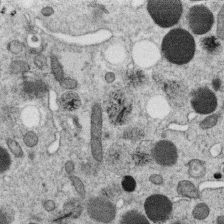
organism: C. elegans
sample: C. elegans oocyte; sperm cells